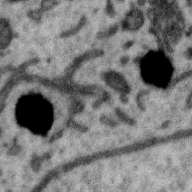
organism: Zebra finch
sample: Brain